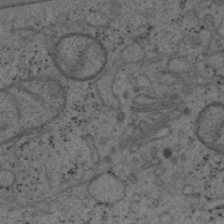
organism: Human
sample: HeLa cells